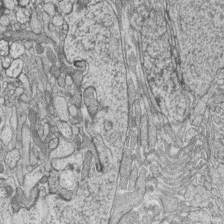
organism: Zebrafish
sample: synaptic ribbons in rod cells and cone cells